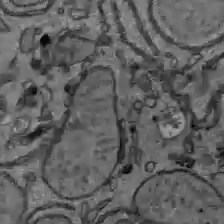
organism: C57BL Mouse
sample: Liver